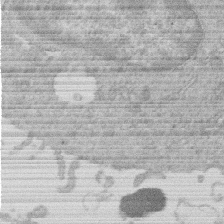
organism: Human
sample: Macrophage cells